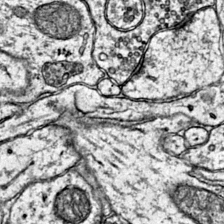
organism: Mouse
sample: Primary visual cortex